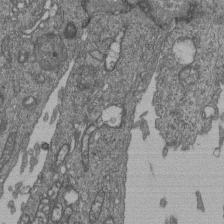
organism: Human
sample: Retinal organoid Rod and Cone cells